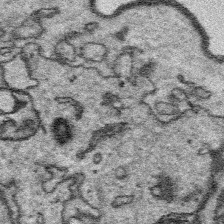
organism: Platynereis dumerilii